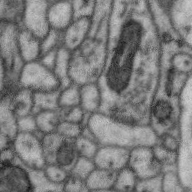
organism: Zebra finch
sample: Brain